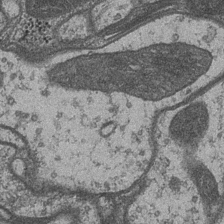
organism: Drosophila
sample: Optic medulla